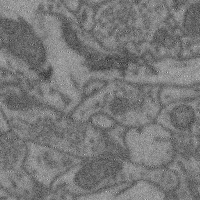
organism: Mouse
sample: Cerebral cortex